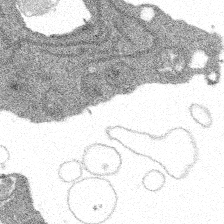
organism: Spongilla lacustris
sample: Multiple